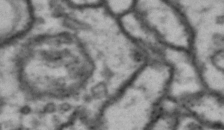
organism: Drosophila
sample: Brain